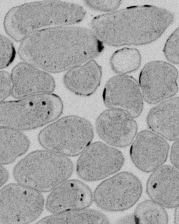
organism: E. coli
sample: Bacterial nucleoid